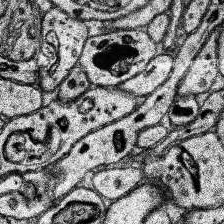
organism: Human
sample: Temporal Lobe